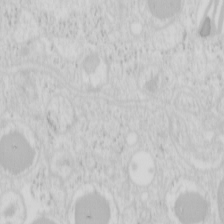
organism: Mouse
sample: Pancreas